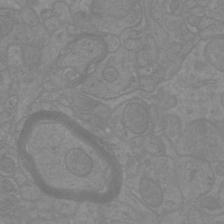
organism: Mouse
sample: Cortical neurons